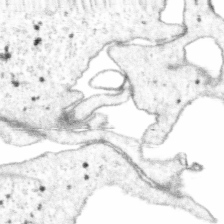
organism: Human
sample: HeLa cells